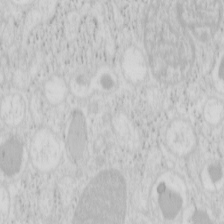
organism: Mouse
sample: Pancreas